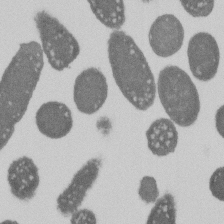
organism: E. coli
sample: Bacterial nucleoid